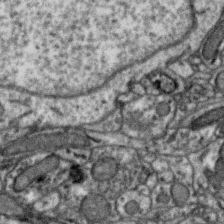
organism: Zebra finch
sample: Brain